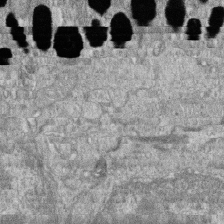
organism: Zebrafish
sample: Cilia; retinal pigment epithelium